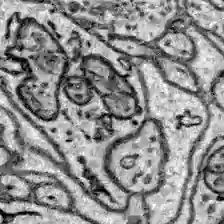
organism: Zebrafish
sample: Brain